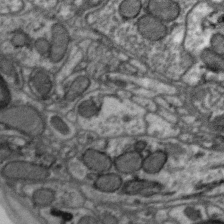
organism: Zebra finch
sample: Brain